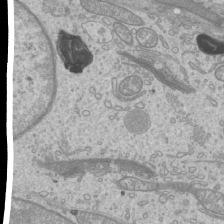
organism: Mouse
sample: Cilia; mouse epididymis